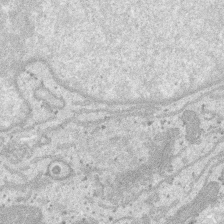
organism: Human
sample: Lung epithelial cells infected with SARS-CoV-2